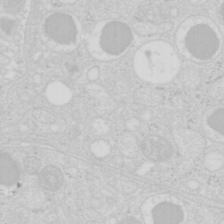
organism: Mouse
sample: Pancreas